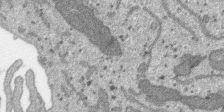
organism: Human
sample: Lung epithelial cells infected with SARS-CoV-2